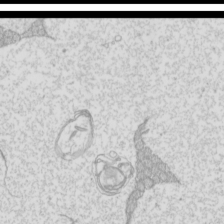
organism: Mouse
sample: Cilia; mouse epididymis